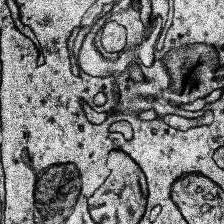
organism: Human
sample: Temporal Lobe